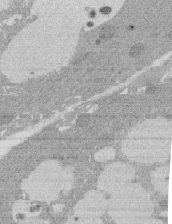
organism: Rat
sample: Salivary granule